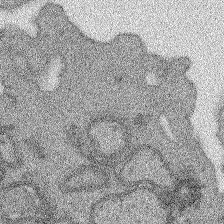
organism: Human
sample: HeLa cells